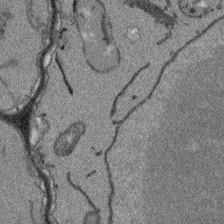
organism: Arabidopsis thaliana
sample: Root tip